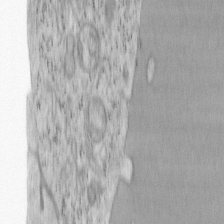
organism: Human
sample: HeLa cells